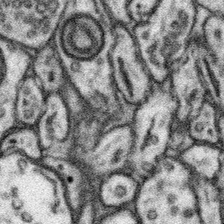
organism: Mouse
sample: Somatosensory cortex neuropil